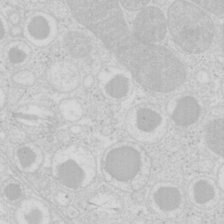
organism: Mouse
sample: Pancreas